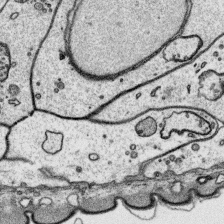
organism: Platynereis dumerilii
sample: Parapodia